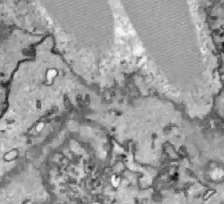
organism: Zebrafish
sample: Actinotrichia fibers